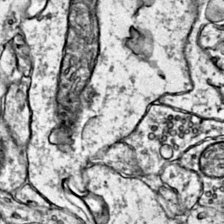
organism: Mouse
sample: Primary visual cortex